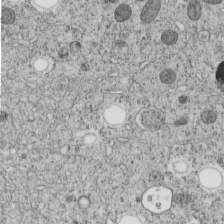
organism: C. elegans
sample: C. elegans embryo early stage